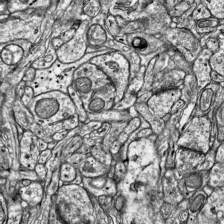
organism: Mouse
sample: Visual Cortex